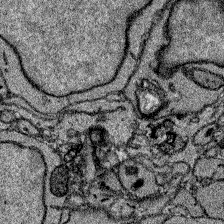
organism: Zebrafish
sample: Larval olfactory bulb